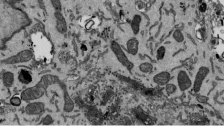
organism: Mouse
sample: ED-1 cell nuclei; centrioles